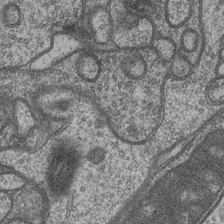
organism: Drosophila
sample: Optic medulla